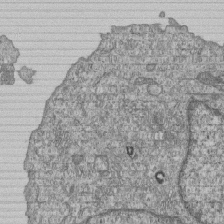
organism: Human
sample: MDA-MB-231 cells